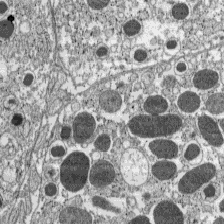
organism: C57BL Mouse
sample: Pancreatic islet